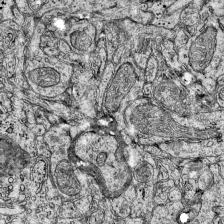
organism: Mouse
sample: Visual Cortex